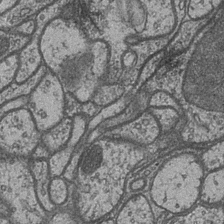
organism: Drosophila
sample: Optic medulla